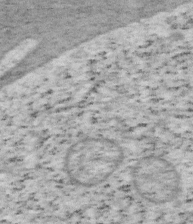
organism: Mouse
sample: OT-I killer T cells with ID8 ovarian cancer cells